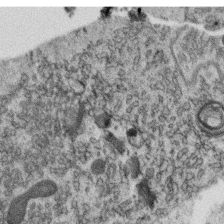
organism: C. elegans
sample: C. elegans oocyte; sperm cells